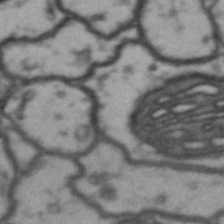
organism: Drosophila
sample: Brain